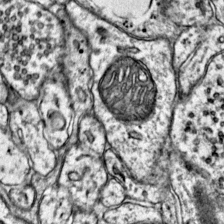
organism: Mouse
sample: Primary visual cortex